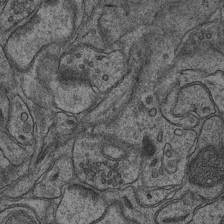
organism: Mouse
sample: CA1 Hippocampus